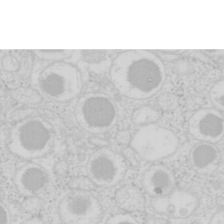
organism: Mouse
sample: Pancreas